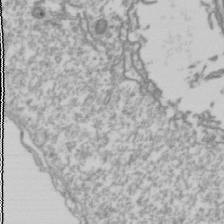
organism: Drosophila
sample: Cell division; meiosis; drosophila spermatocytes